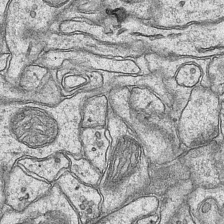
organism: Mouse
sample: CA1 Hippocampus